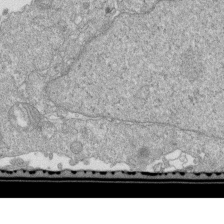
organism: Human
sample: HeLa cell HIV synapse